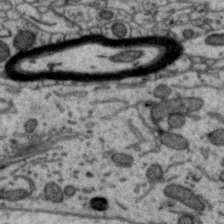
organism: Zebra finch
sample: Brain